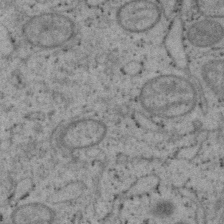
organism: Human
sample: HeLa cells